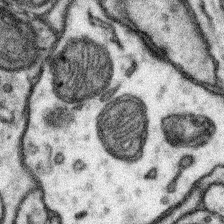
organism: Mouse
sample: Somatosensory cortex neuropil